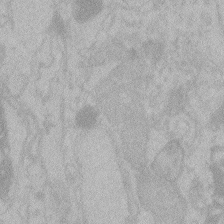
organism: Zebrafish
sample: Macrophage infected with Toxoplasma gondii